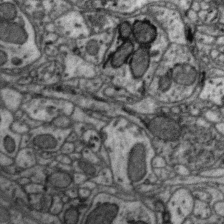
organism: Zebra finch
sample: Brain